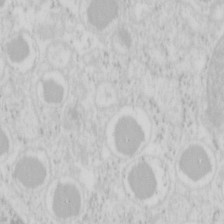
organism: Mouse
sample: Pancreas